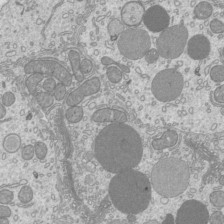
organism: Mouse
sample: Cilia; mouse epididymis